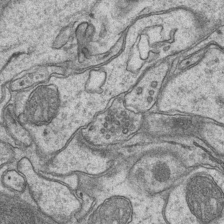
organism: Mouse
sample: CA1 Hippocampus